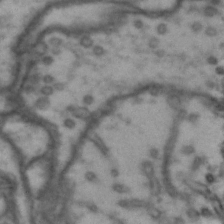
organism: Drosophila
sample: Brain